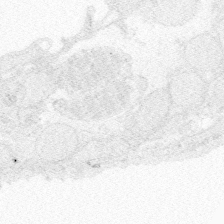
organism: Zebrafish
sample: Whole-Brain